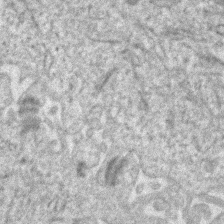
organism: Human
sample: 1205lu cells